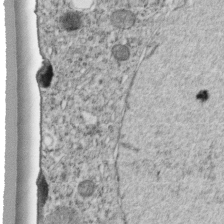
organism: C. elegans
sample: C. elegans embryo early stage